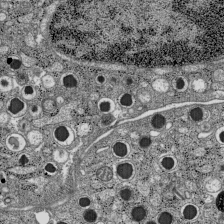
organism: C57BL Mouse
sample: Pancreatic islet